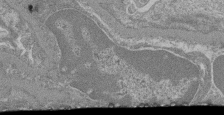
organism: Mouse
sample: Glomerulus